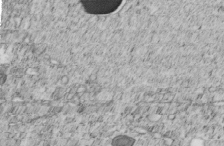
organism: C. elegans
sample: C. elegans embryo early stage